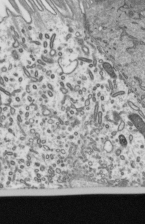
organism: Mouse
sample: Mouse epididymis efferent ductule cilia